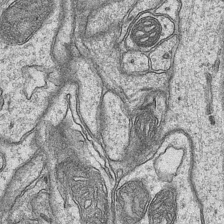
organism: Mouse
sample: CA1 Hippocampus